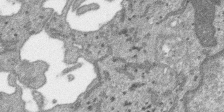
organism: Human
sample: Lung epithelial cells infected with SARS-CoV-2